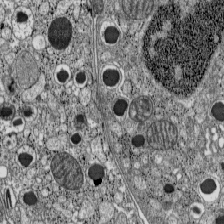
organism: C57BL Mouse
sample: Pancreatic islet